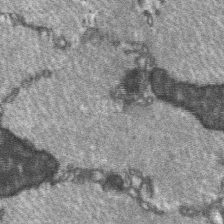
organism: C57BL Mouse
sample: Soleus